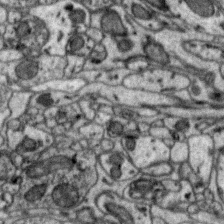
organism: Zebra finch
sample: Brain